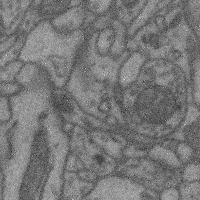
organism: Mouse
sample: Cerebral cortex